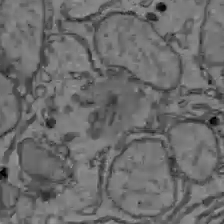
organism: C57BL Mouse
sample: Liver